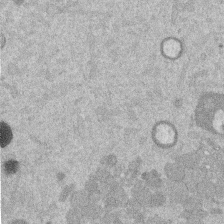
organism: Mouse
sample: Dividing mouse embryo 1 cell stage